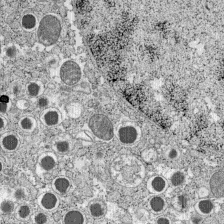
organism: C57BL Mouse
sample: Pancreatic islet